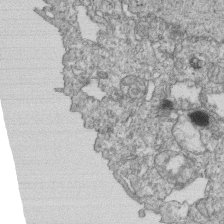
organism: Human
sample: HeLa cell HIV synapse